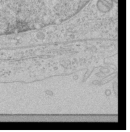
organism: Human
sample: Mitochondria in HCT116 cells